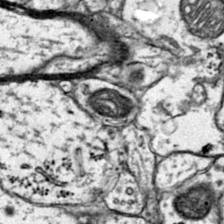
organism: Mouse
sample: Primary visual cortex